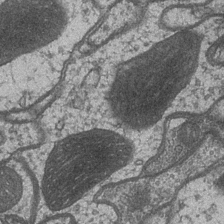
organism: Drosophila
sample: Optic medulla